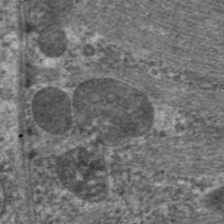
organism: C. elegans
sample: Pharynx